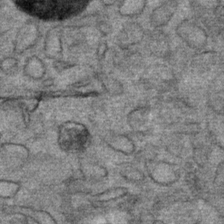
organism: Mouse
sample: Mouse Salivary gland